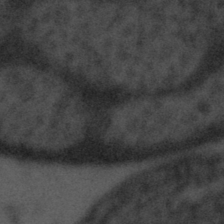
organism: Tuwongella immobilis